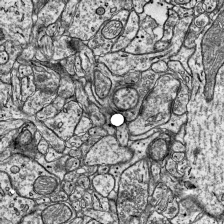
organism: Mouse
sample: Visual Cortex